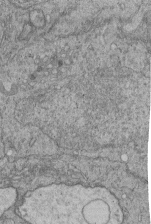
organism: Human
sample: Retinal organoid Rod and Cone cells